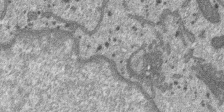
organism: Human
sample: Lung epithelial cells infected with SARS-CoV-2